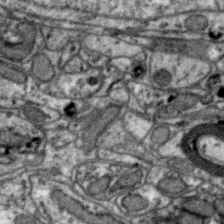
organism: Zebra finch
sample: Brain